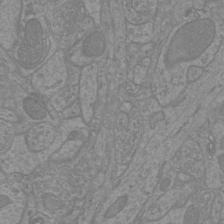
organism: Mouse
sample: Cortical neurons